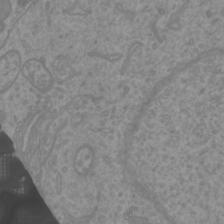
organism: Mouse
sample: Cortical neurons